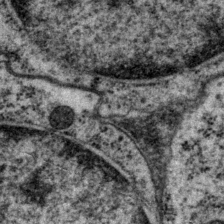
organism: P. pacificus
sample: Pharynx